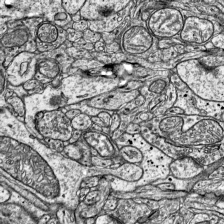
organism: Mouse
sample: Visual Cortex